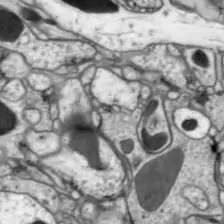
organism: Drosophila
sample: Optic lobe